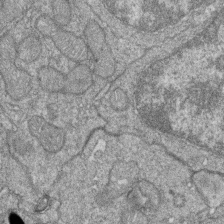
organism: Zebrafish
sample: Cilia; retinal pigment epithelium